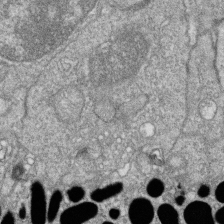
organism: Zebrafish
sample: Cilia; retinal pigment epithelium